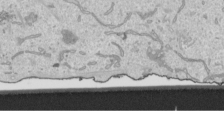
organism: Human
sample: Mitochondria in HCT116 cells